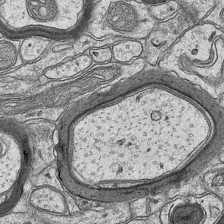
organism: Mouse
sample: CA1 Hippocampus